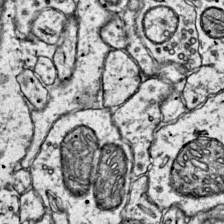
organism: Mouse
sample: Primary visual cortex